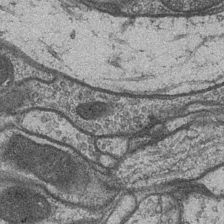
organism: Drosophila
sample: Optic medulla